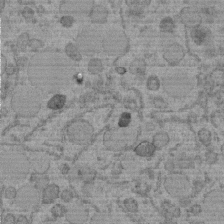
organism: C. elegans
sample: C. elegans embryo early stage